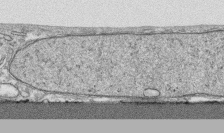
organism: Human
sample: CRL-1474